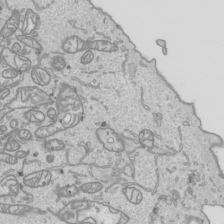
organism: Human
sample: Mitochondria in HCT116 cells